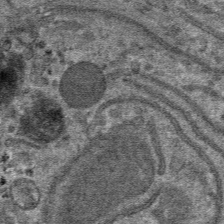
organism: Mouse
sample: Mouse hepatocytes